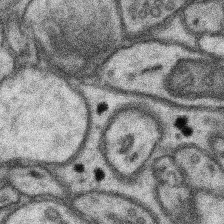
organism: Mouse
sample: Somatosensory cortex neuropil